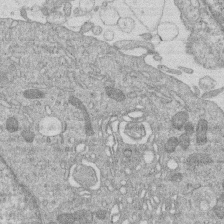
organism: Human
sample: Macrophage cells